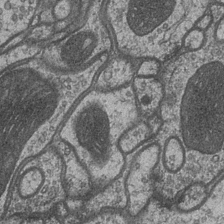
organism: Drosophila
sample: Optic medulla